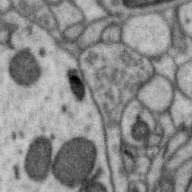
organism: Zebra finch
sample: Brain